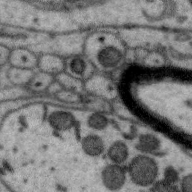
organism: Zebra finch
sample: Brain